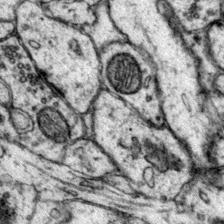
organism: Mouse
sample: Primary visual cortex